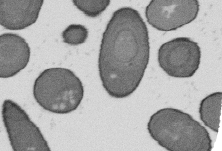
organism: B. subtilis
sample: Bacterial spore